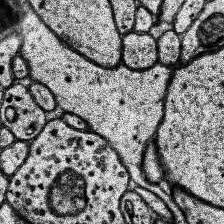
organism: Human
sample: Temporal Lobe